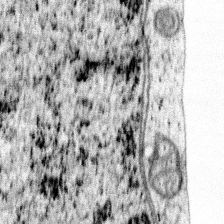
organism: Human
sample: HeLa cells